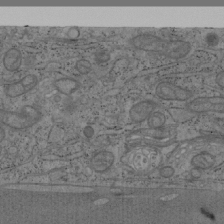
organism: Human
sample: HeLa cells